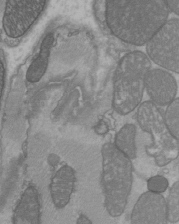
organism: C57BL Mouse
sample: Heart